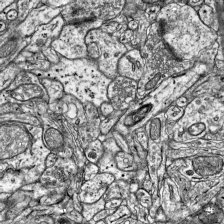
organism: Mouse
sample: Visual Cortex